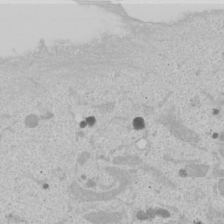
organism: Human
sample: Mitochondria in U2OS cells